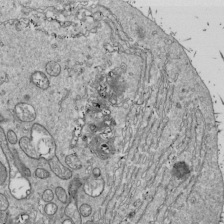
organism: Drosophila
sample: Cell division; meiosis; drosophila spermatocytes